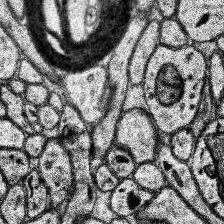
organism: Human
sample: Temporal Lobe